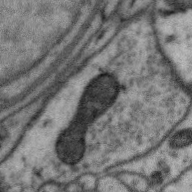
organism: Zebra finch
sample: Brain